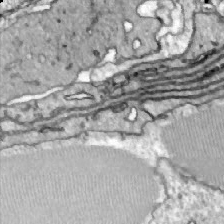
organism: Zebrafish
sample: Actinotrichia fibers